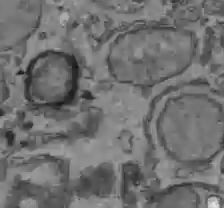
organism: C57BL Mouse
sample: Liver